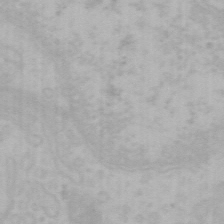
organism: Mouse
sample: Choroid plexus